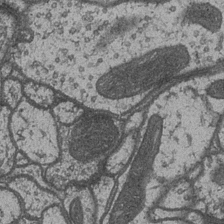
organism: Drosophila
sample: Optic medulla